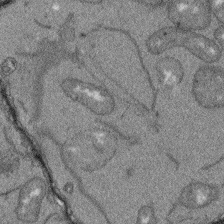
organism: Arabidopsis thaliana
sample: Root tip